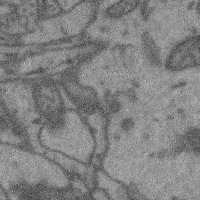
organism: Mouse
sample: Cerebral cortex